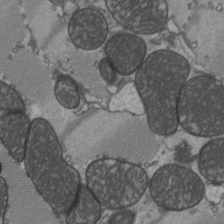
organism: C57BL Mouse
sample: Heart